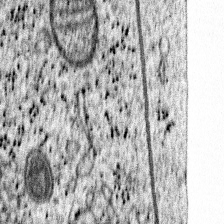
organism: Human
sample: HeLa cells